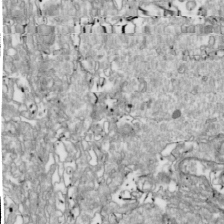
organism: Drosophila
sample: Cell division; meiosis; drosophila spermatocytes